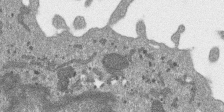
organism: Human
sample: Lung epithelial cells infected with SARS-CoV-2